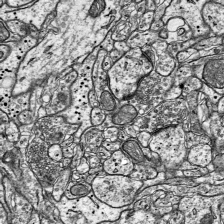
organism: Mouse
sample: Visual Cortex